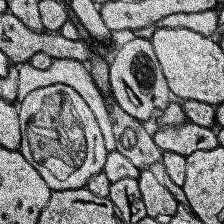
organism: Human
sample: Temporal Lobe